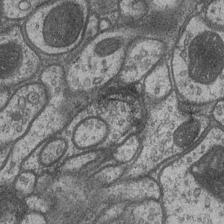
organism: Drosophila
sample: Optic medulla